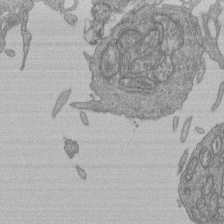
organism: Human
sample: Retinal organoid Rod and Cone cells